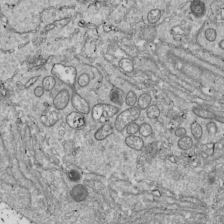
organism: Drosophila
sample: Cell division; meiosis; drosophila spermatocytes